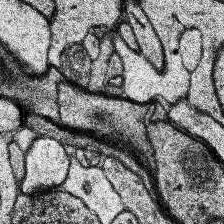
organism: Human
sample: Temporal Lobe